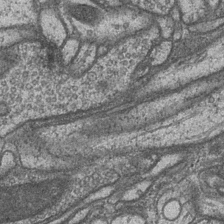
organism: Drosophila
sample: Optic medulla